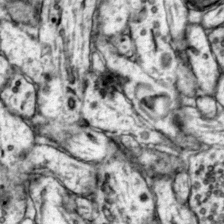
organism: Mouse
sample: Primary visual cortex